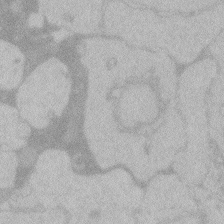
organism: Zebrafish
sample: Macrophage infected with Toxoplasma gondii